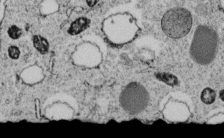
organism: C. elegans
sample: C. elegans embryo early stage